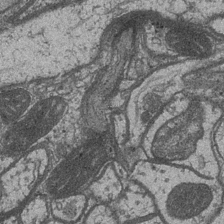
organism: Drosophila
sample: Optic medulla